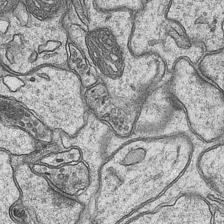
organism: Mouse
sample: CA1 Hippocampus